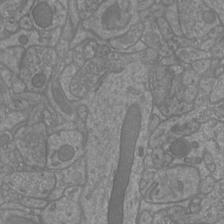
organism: Mouse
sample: Cortical neurons